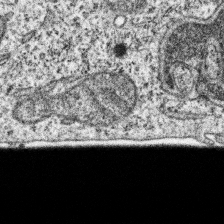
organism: Human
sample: HeLa cells